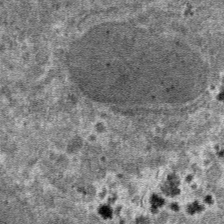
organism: Mouse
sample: Mouse hepatocytes